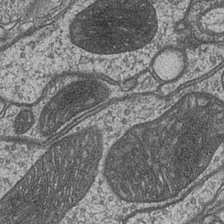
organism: Drosophila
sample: Optic medulla